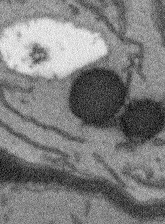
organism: Arabidopsis thaliana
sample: Root tip